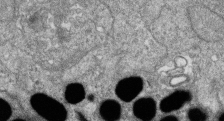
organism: Zebrafish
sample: Cilia; retinal pigment epithelium